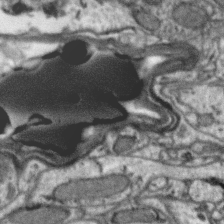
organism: Zebra finch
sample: Brain